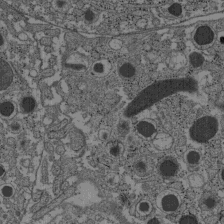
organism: C57BL Mouse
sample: Pancreatic islet